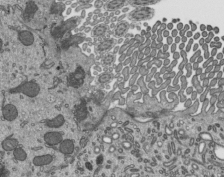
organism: Mouse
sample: Mouse epididymis efferent ductule cilia